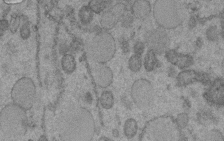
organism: C. elegans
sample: C. elegans embryo early stage